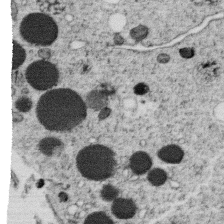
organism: C. elegans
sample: C. elegans oocyte; sperm cells